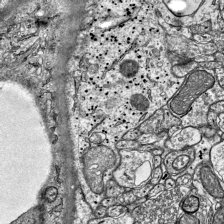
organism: Mouse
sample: Visual Cortex